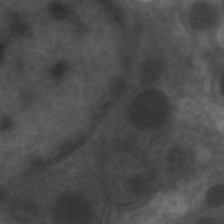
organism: C. elegans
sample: Pharynx